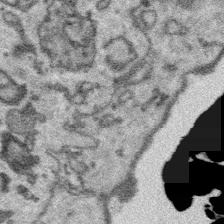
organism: Platynereis dumerilii